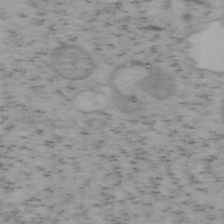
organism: Mouse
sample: OT-I killer T cells with ID8 ovarian cancer cells